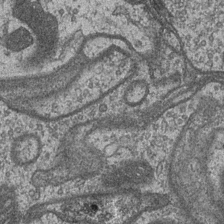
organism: Drosophila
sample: Optic medulla